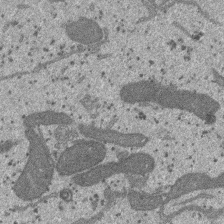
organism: Human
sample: Lung epithelial cells infected with SARS-CoV-2